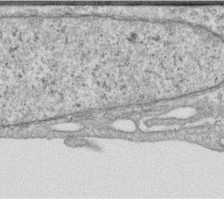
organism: Human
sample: Centriole in RPE cells